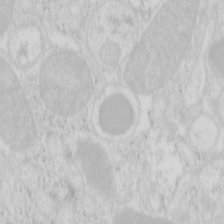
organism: Mouse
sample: Pancreas